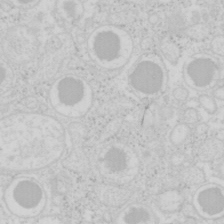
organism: Mouse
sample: Pancreas